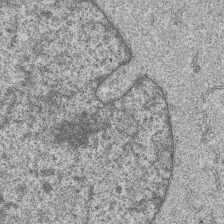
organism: Human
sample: MDA-MB-231 cells